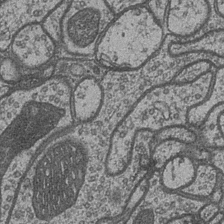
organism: Drosophila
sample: Optic medulla